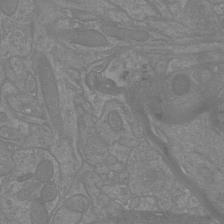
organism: Mouse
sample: Cortical neurons